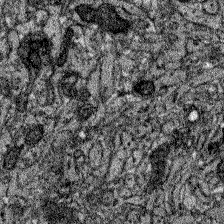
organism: Zebrafish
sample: Larval olfactory bulb